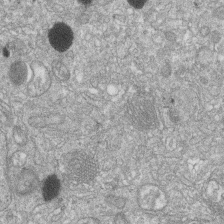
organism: Human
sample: HeLa cell HIV synapse